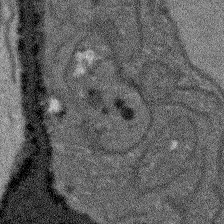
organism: Arabidopsis thaliana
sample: Root tip